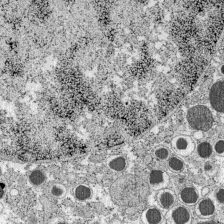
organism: C57BL Mouse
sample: Pancreatic islet